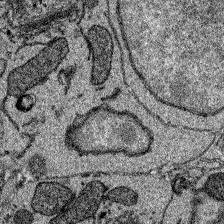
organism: Zebrafish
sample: Larval olfactory bulb